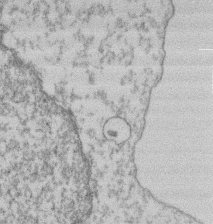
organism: Mouse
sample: T cell stromal cell synapse